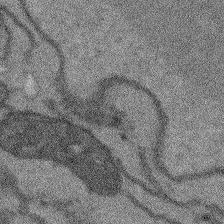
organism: Arabidopsis thaliana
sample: Root tip